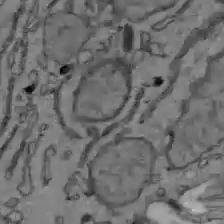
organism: C57BL Mouse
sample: Liver